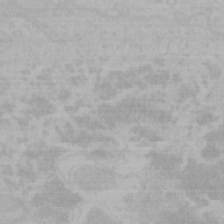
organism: Mouse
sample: Choroid plexus